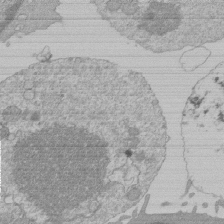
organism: Mouse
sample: Activated Pmel transgenic CD8+ T Cells